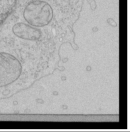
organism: Human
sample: Mitochondria in HCT116 cells